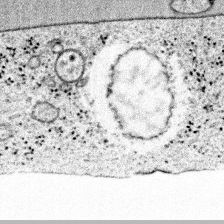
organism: Human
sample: HeLa cells